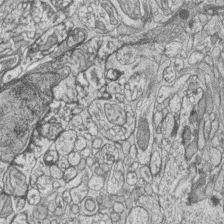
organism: Zebrafish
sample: synaptic ribbons in rod cells and cone cells